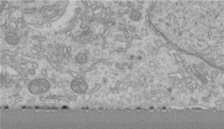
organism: Human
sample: Centriole in RPE cells